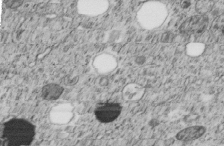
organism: C. elegans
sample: C. elegans embryo early stage